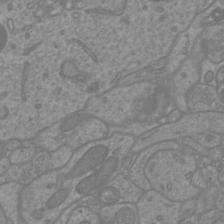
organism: Mouse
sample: Cortical neurons